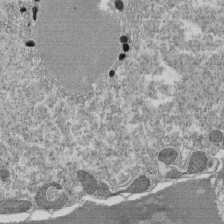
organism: Tetrahymena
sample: Cilia in tetrahymena